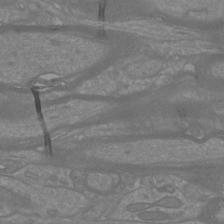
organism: Mouse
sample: Cortical neurons